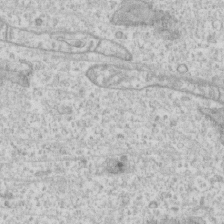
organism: Human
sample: CRL-1474